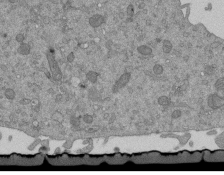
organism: Mouse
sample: ED-1 cell nuclei; centrioles